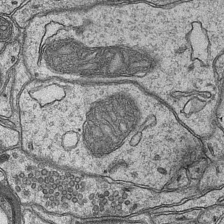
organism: Mouse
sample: CA1 Hippocampus